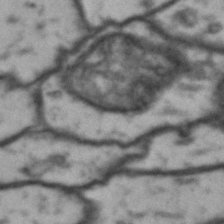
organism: Drosophila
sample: Brain